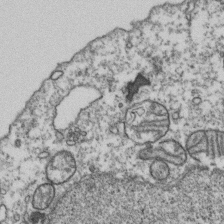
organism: Human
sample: Activated Jurkat CD4+ T cells